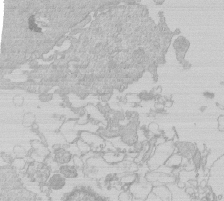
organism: Human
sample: Macrophage cells